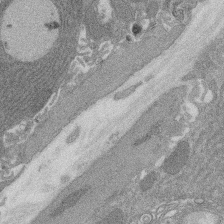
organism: Rat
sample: Salivary granule